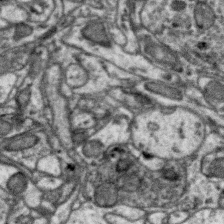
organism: Zebra finch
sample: Brain